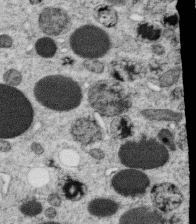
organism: C. elegans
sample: C. elegans oocyte; sperm cells